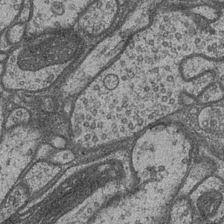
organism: Drosophila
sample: Optic medulla